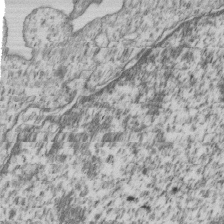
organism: Human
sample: MDA-MB-231 cells